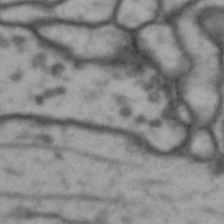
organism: Drosophila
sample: Brain